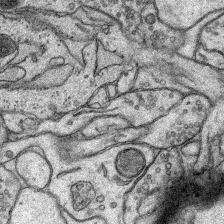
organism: Rat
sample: Hippocampus